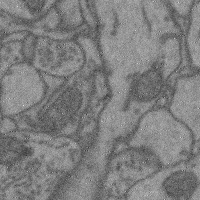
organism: Mouse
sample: Cerebral cortex